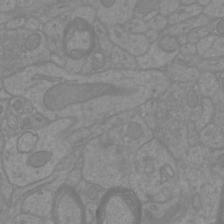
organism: Mouse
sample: Cortical neurons